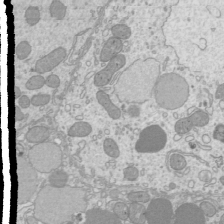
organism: Mouse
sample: Cilia; mouse epididymis